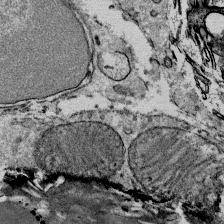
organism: Mouse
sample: Mouse Salivary gland